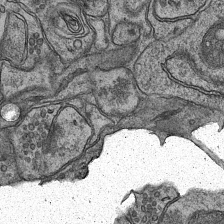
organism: Mouse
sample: CA1 Hippocampus